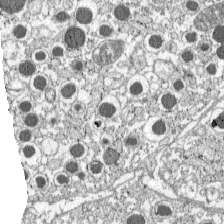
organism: C57BL Mouse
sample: Pancreatic islet